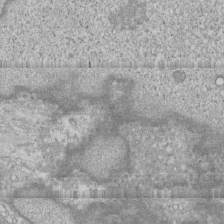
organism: Human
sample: CRL-1474